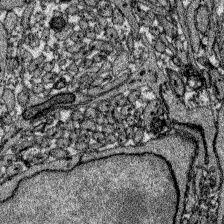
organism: Zebrafish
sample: Larval olfactory bulb